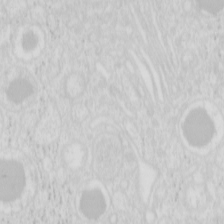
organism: Mouse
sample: Pancreas